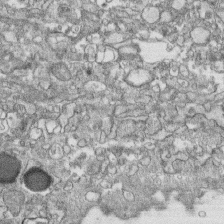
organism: Human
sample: CRL-1474